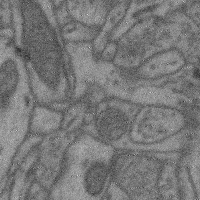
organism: Mouse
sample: Cerebral cortex